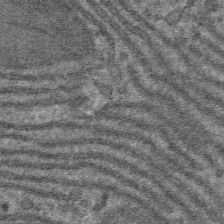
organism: Mouse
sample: Mouse hepatocytes